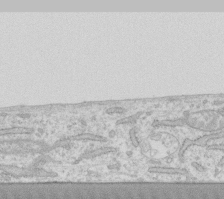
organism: Human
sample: Fibroblast cells